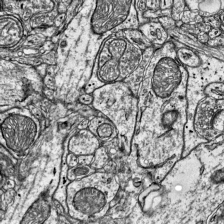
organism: Mouse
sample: Visual Cortex